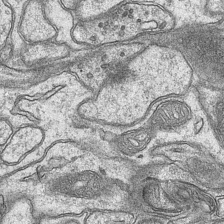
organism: Mouse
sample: CA1 Hippocampus